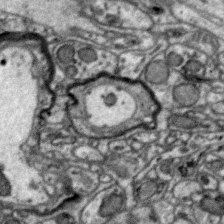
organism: Zebra finch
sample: Brain